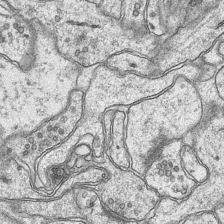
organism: Mouse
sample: CA1 Hippocampus